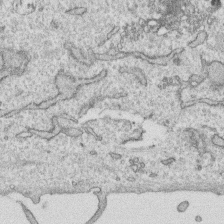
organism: Human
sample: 1205lu cells